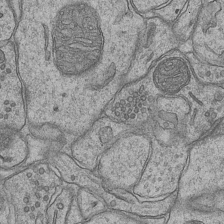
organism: Mouse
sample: CA1 Hippocampus